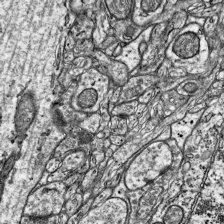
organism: Mouse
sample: Visual Cortex